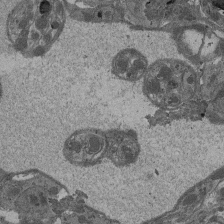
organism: Drosophila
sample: Antenna